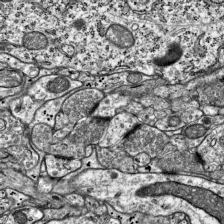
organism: Mouse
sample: Visual Cortex